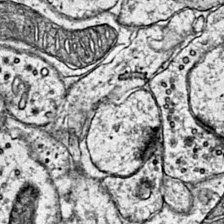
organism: Mouse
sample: Primary visual cortex